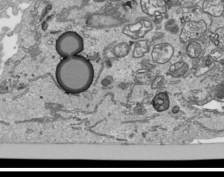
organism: Human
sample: Mitochondria in HCT116 cells